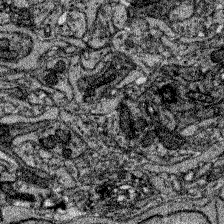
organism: Zebrafish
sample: Larval olfactory bulb